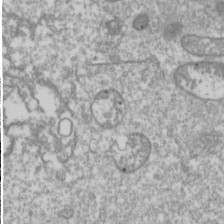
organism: Drosophila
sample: Cell division; meiosis; drosophila spermatocytes